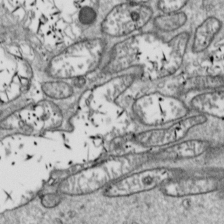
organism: Drosophila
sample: Cell division; meiosis; drosophila spermatocytes